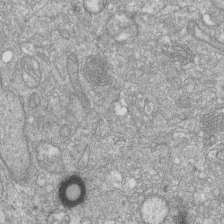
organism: Human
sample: HeLa cell HIV synapse